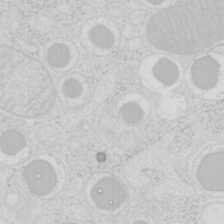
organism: Mouse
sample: Pancreas